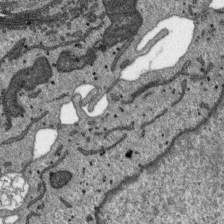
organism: Human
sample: Lung epithelial cells, uninfected (mock) control